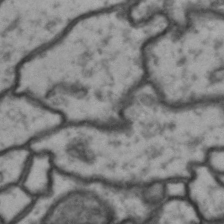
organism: Drosophila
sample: Brain